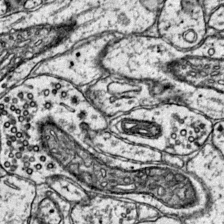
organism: Mouse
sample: Primary visual cortex